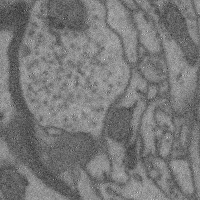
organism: Mouse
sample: Cerebral cortex